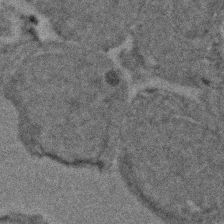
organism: Zebrafish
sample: Zebrafish embryo